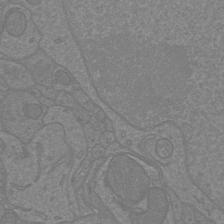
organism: Mouse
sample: Cortical neurons